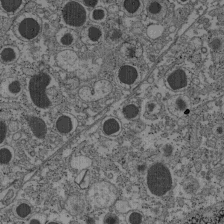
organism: C57BL Mouse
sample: Pancreatic islet